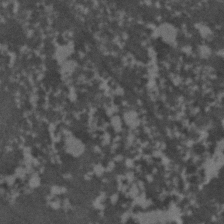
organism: C. elegans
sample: C. elegans embryo